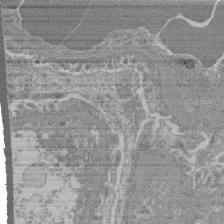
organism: Mouse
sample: Glomerulus